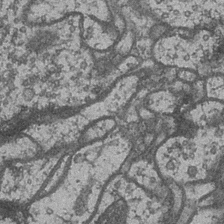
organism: Drosophila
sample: Optic medulla